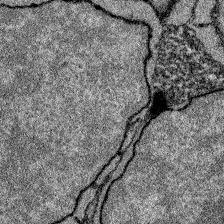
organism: Zebrafish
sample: Larval olfactory bulb